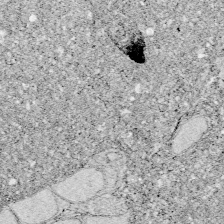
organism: Zebrafish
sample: Whole-Brain